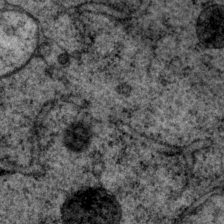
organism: P. pacificus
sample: Pharynx